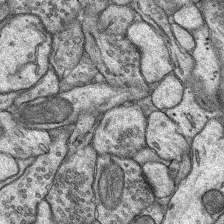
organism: Rat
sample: Hippocampus